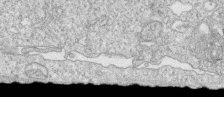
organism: Human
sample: HeLa cell HIV synapse